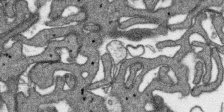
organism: Human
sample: Lung epithelial cells, uninfected (mock) control